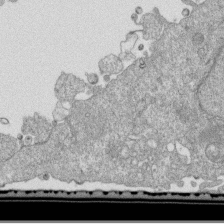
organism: Human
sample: HeLa cell HIV synapse